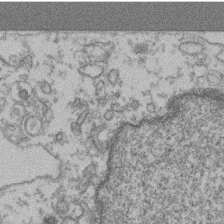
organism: Mouse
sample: T cell stromal cell synapse